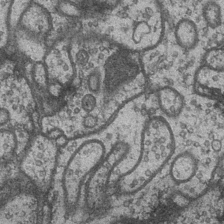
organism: Drosophila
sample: Optic medulla